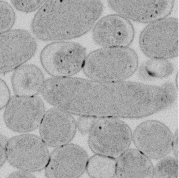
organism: E. coli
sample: Bacterial nucleoid